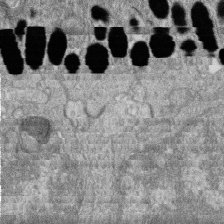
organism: Zebrafish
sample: Cilia; retinal pigment epithelium